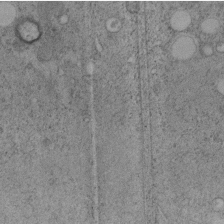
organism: C. elegans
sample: C. elegans embryo early stage